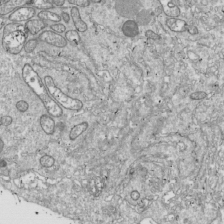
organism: Drosophila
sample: Cell division; meiosis; drosophila spermatocytes